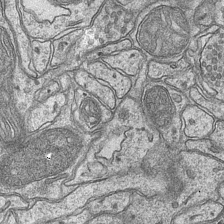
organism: Mouse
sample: CA1 Hippocampus